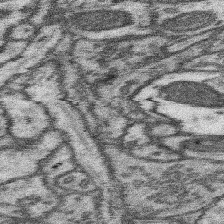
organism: Mouse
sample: Somatosensory cortex neuropil